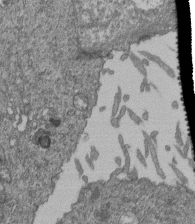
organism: Human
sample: Retinal organoid Rod and Cone cells